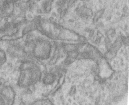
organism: Human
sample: Centriole in RPE cells